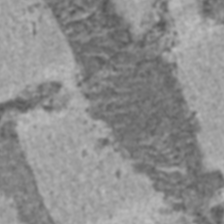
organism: C57BL Mouse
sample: Heart